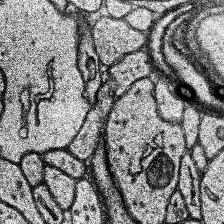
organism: Human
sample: Temporal Lobe